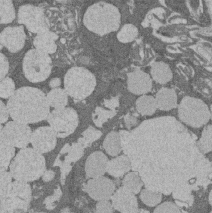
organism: Rat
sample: Salivary granule